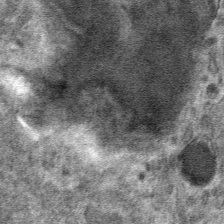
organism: Mouse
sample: Mouse hepatocytes